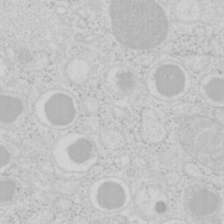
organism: Mouse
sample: Pancreas